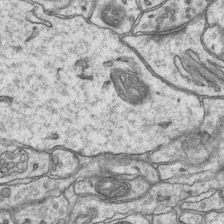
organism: Mouse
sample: CA1 Hippocampus